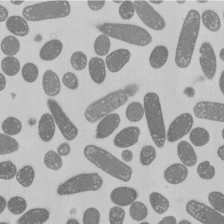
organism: E. coli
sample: Bacterial nucleoid